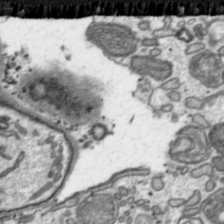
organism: Toxoplasma gondii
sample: Parasites in a vacuole inside a host cell